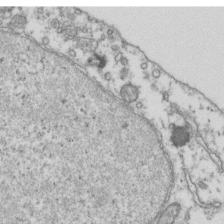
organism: Human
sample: Activated Jurkat CD4+ T cells